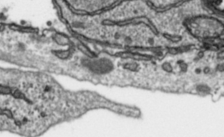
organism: Toxoplasma gondii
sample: Parasites in a vacuole inside a host cell